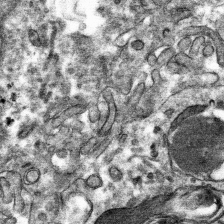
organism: Mouse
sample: Mouse hepatocytes